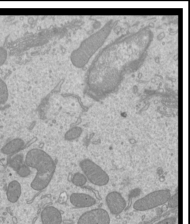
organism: Mouse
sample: Cilia; mouse epididymis